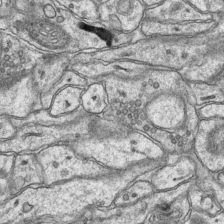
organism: Mouse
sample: CA1 Hippocampus